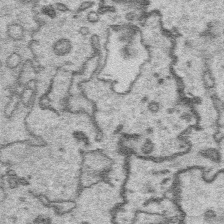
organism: Platynereis dumerilii